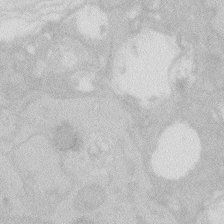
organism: Zebrafish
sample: Macrophage